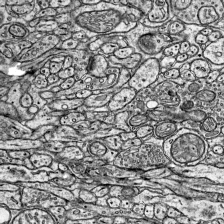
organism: Mouse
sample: Visual Cortex